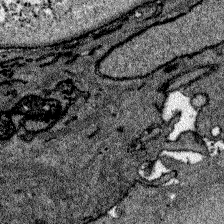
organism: Zebrafish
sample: Larval olfactory bulb